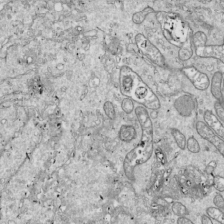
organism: Drosophila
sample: Cell division; meiosis; drosophila spermatocytes